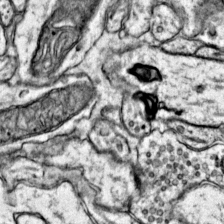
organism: Mouse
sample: Primary visual cortex